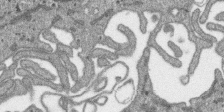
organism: Human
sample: Lung epithelial cells infected with SARS-CoV-2